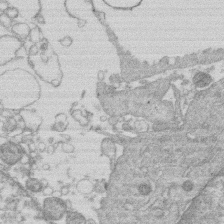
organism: Human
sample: Macrophage cells